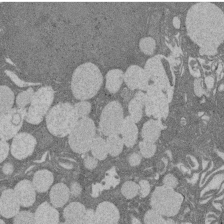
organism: Rat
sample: Salivary granule